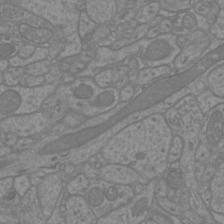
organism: Mouse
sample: Cortical neurons